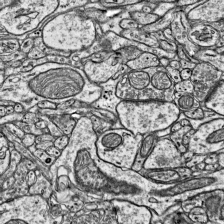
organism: Mouse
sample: Visual Cortex